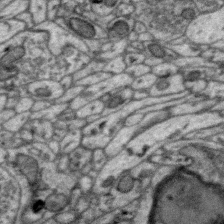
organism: Zebra finch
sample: Brain